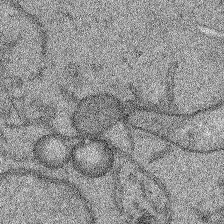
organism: Human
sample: HeLa cells